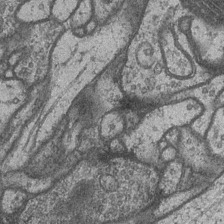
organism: Drosophila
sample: Optic medulla